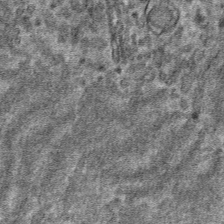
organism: Mouse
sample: Mouse hepatocytes